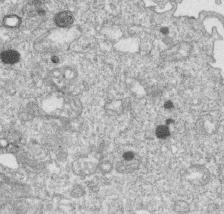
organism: Human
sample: HeLa cell HIV synapse